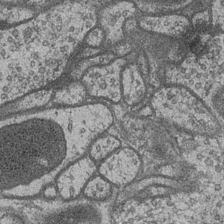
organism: Drosophila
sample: Optic medulla